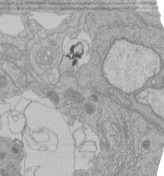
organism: Human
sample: Retinal organoid Rod and Cone cells